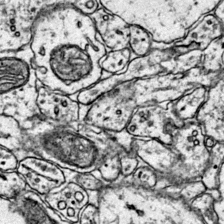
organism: Mouse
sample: Primary visual cortex